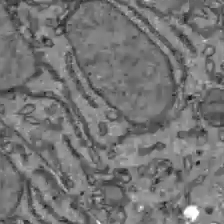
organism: C57BL Mouse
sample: Liver